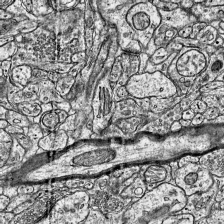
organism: Mouse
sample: Visual Cortex